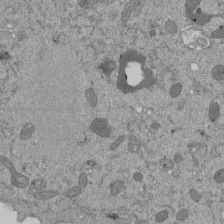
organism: Mouse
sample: ED-1 cell nuclei; centrioles